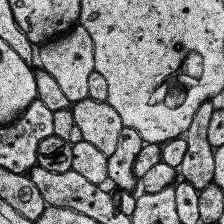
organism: Human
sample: Temporal Lobe